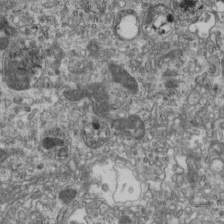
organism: Mouse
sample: Centriole in ependymal cells